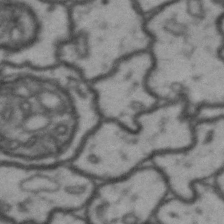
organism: Drosophila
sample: Brain